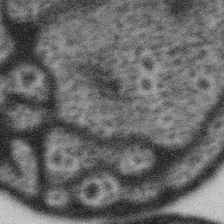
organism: Gemmata obscuriglobus